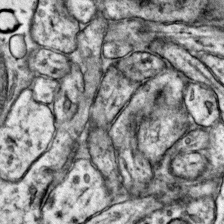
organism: Mouse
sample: Primary visual cortex